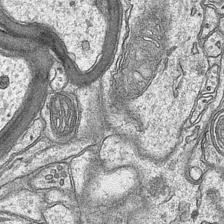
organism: Mouse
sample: CA1 Hippocampus